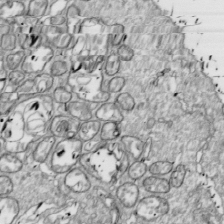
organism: Drosophila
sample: Cell division; meiosis; drosophila spermatocytes